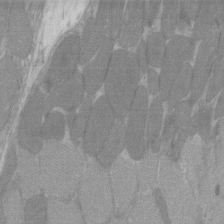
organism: C57BL Mouse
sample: Tibialis anterior muscle cell